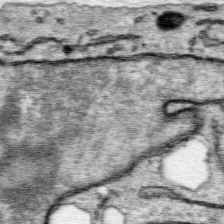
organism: Human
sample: HeLa cells